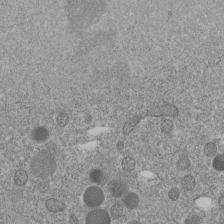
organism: C. elegans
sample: C. elegans embryo early stage